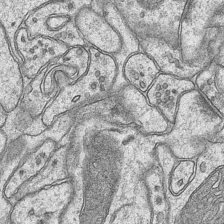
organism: Mouse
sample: CA1 Hippocampus